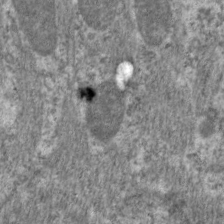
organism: C. elegans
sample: Pharynx